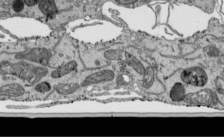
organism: Human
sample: Mitochondria in HCT116 cells